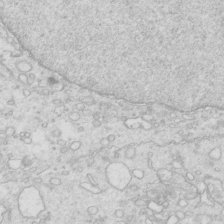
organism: Mouse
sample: Multiciliated cells